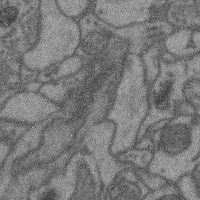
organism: Mouse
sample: Cerebral cortex